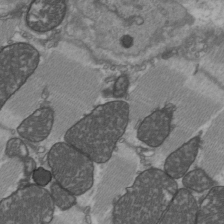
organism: C57BL Mouse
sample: Heart